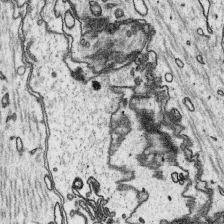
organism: Platynereis dumerilii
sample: Parapodia